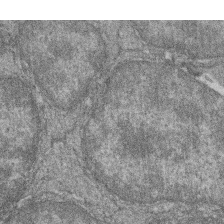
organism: Zebrafish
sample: Cilia; retinal pigment epithelium